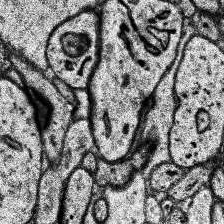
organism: Human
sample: Temporal Lobe